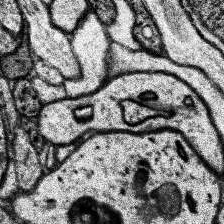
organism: Human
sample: Temporal Lobe